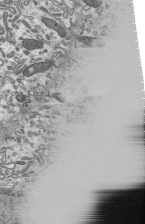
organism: Mouse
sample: Mouse epididymis efferent ductule cilia